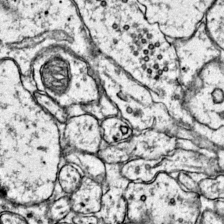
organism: Mouse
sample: Primary visual cortex